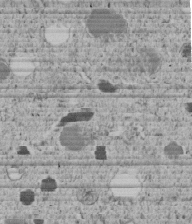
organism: C. elegans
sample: C. elegans embryo early stage